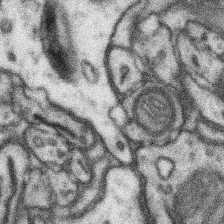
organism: Mouse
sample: Somatosensory cortex neuropil